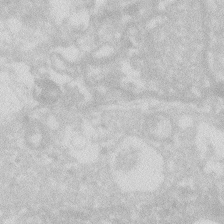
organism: Zebrafish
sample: Macrophage